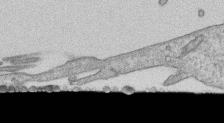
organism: Human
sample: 1205lu cells